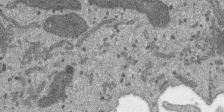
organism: Human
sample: Lung epithelial cells infected with SARS-CoV-2